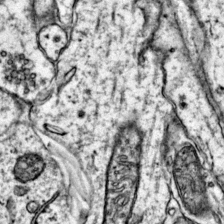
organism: Mouse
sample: Primary visual cortex